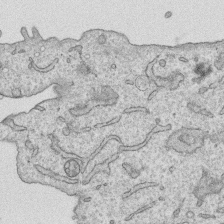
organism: Human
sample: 1205lu cells